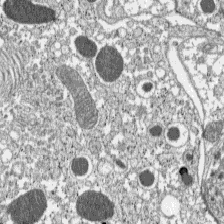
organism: C57BL Mouse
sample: Pancreatic islet